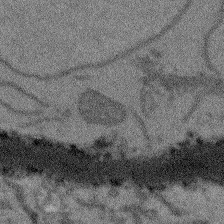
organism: Arabidopsis thaliana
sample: Root tip